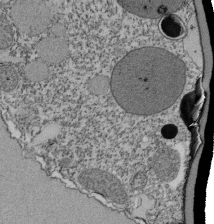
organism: Tetrahymena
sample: Cilia in tetrahymena